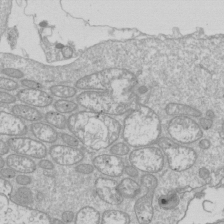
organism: Drosophila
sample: Cell division; meiosis; drosophila spermatocytes